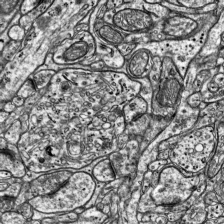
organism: Mouse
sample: Visual Cortex